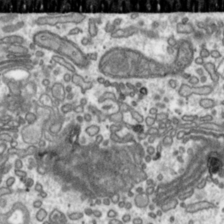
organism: Toxoplasma gondii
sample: Parasites in a vacuole inside a host cell